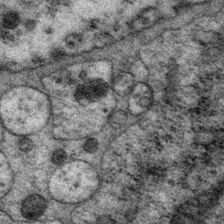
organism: P. pacificus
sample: Pharynx